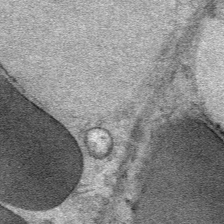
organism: Mouse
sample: Mouse Salivary gland